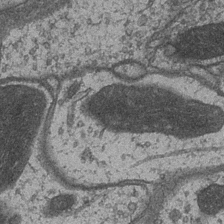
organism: Drosophila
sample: Optic medulla